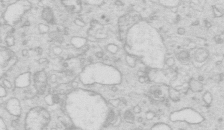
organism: Mouse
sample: Multiciliated cells